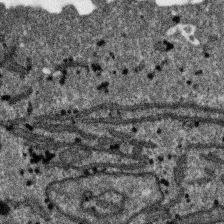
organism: Human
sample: Lung epithelial cells infected with SARS-CoV-2